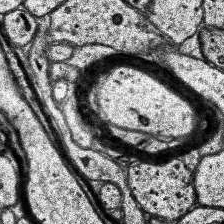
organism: Human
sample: Temporal Lobe